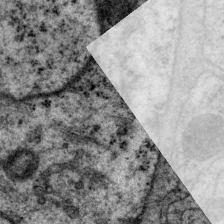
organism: P. pacificus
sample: Pharynx